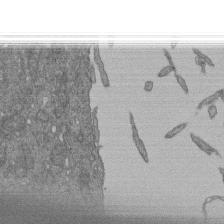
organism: Human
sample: Retinal organoid Rod and Cone cells